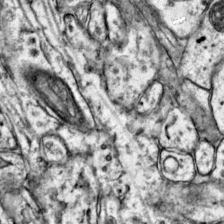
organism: Mouse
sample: Primary visual cortex